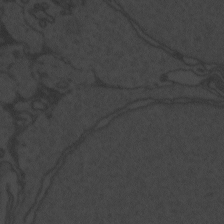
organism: Zebrafish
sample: Macrophage infected with Toxoplasma gondii